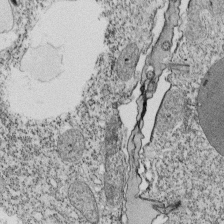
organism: Tetrahymena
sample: Cilia in tetrahymena